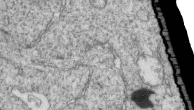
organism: Human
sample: HeLa cell HIV synapse